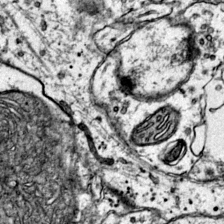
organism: Mouse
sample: Primary visual cortex